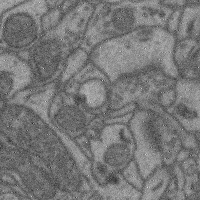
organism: Mouse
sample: Cerebral cortex